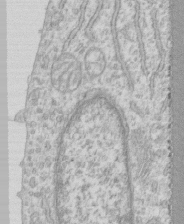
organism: Human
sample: CRL-1474